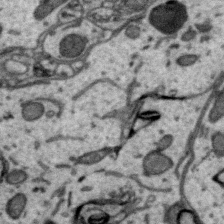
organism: Zebra finch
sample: Brain